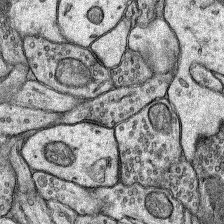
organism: Rat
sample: Hippocampus